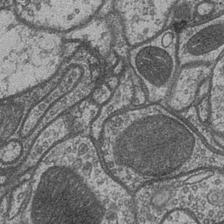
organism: Drosophila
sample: Optic medulla